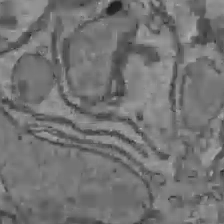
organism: C57BL Mouse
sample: Liver